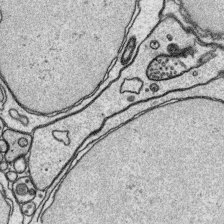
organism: Platynereis dumerilii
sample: Parapodia